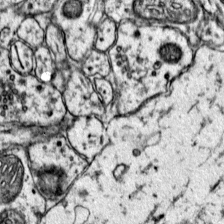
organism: Mouse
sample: Primary visual cortex